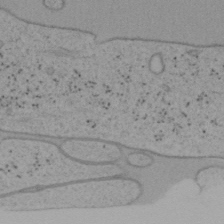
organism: Human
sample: HeLa cells